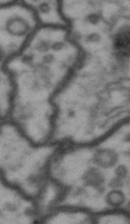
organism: Drosophila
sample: Brain